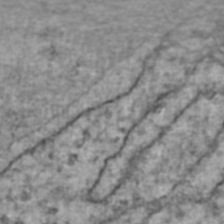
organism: Human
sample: Blood